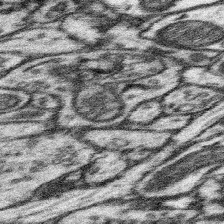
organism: Mouse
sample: Somatosensory cortex neuropil